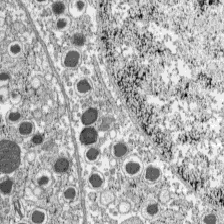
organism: C57BL Mouse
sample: Pancreatic islet